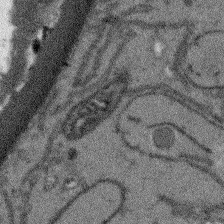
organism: Arabidopsis thaliana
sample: Root tip